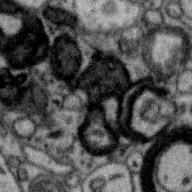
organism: Zebra finch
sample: Brain